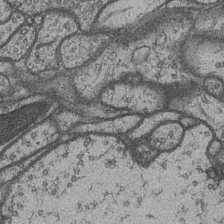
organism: Drosophila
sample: Optic medulla